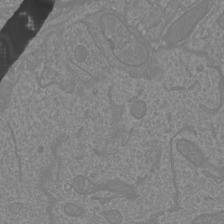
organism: Mouse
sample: Cortical neurons